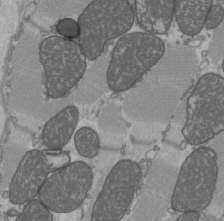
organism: C57BL Mouse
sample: Heart